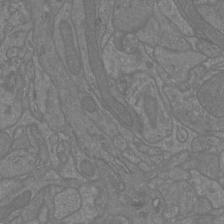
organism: Mouse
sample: Cortical neurons